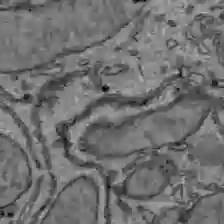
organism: C57BL Mouse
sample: Liver